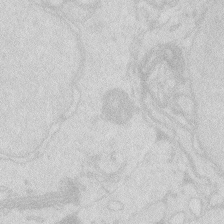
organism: Zebrafish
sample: Macrophage